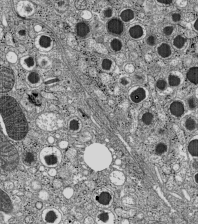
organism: C57BL Mouse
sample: Pancreatic islet